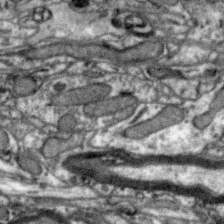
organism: Zebra finch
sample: Brain